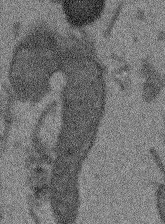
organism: Arabidopsis thaliana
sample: Root tip